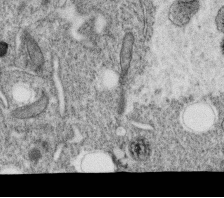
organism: C. elegans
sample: C. elegans oocyte; sperm cells